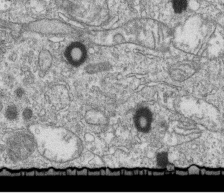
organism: Human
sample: HeLa cell HIV synapse